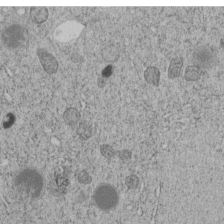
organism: C. elegans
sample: C. elegans embryo early stage